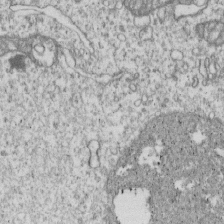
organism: Human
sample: MDA-MB-231 cells